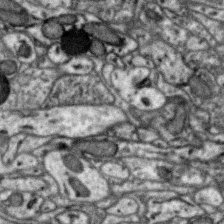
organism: Zebra finch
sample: Brain